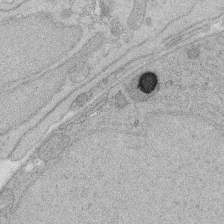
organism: Rat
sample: Salivary granule